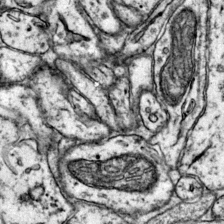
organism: Mouse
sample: Primary visual cortex